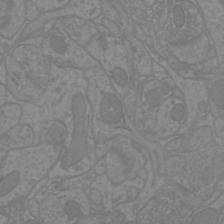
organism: Mouse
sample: Cortical neurons